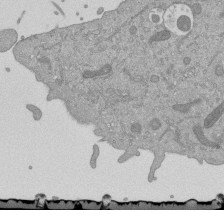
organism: Mouse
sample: ED-1 cell nuclei; centrioles